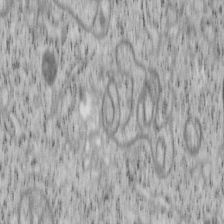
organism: Human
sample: HeLa cells